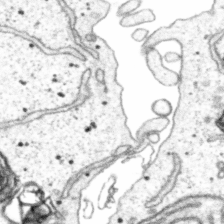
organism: Human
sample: HeLa cells